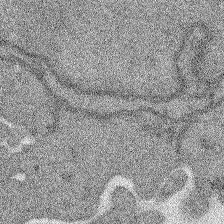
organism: Human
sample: HeLa cells